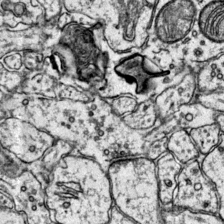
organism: Mouse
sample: Primary visual cortex